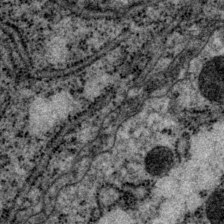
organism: P. pacificus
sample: Pharynx